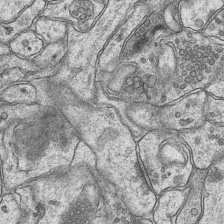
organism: Mouse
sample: CA1 Hippocampus